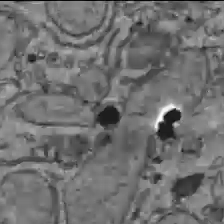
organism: C57BL Mouse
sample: Liver